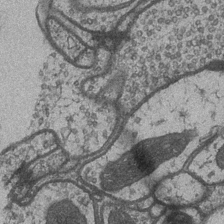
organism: Drosophila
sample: Optic medulla